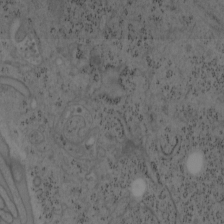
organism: Mouse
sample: OT-I killer T cells with ID8 ovarian cancer cells